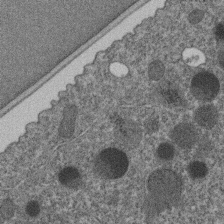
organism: C. elegans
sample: C. elegans embryo early stage